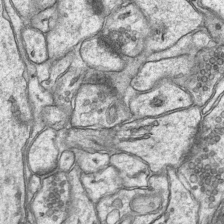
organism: Mouse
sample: CA1 Hippocampus